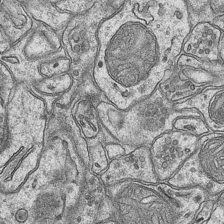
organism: Mouse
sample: CA1 Hippocampus